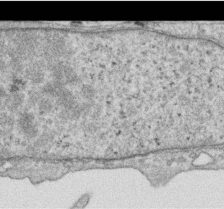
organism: Human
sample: Centriole in RPE cells